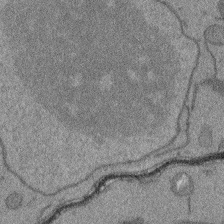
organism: Arabidopsis thaliana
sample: Root tip